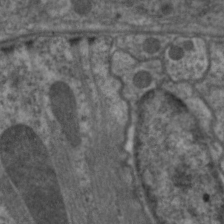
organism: C. elegans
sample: Pharynx